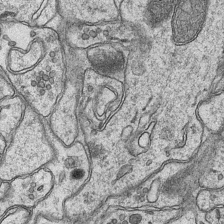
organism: Mouse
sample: CA1 Hippocampus